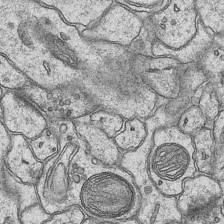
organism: Mouse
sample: CA1 Hippocampus